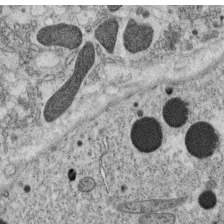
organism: C. elegans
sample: C. elegans oocyte; sperm cells